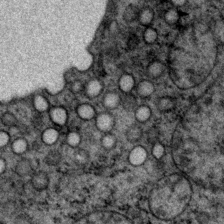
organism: P. pacificus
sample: Pharynx